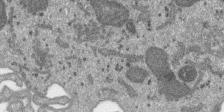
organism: Human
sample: Lung epithelial cells infected with SARS-CoV-2